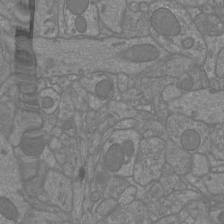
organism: Mouse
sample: Cortical neurons